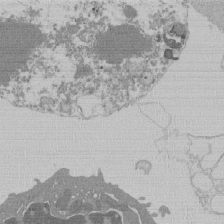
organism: Mouse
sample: Activated Pmel transgenic CD8+ T Cells